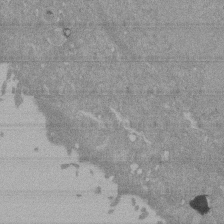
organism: Mouse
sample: ED-1 cell nuclei; centrioles